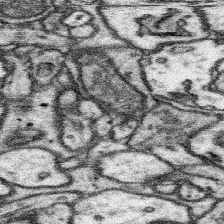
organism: Mouse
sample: Somatosensory cortex neuropil